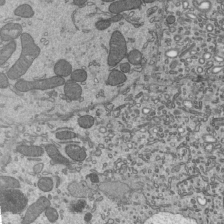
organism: Mouse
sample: Mouse epididymis efferent ductule cilia